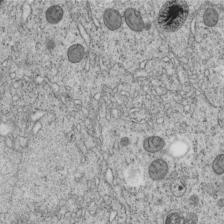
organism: C. elegans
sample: C. elegans embryo early stage